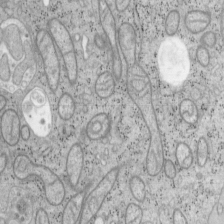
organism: Mouse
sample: OT-I killer T cells with ID8 ovarian cancer cells